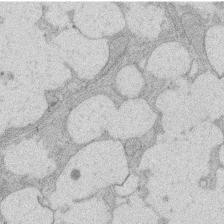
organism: Rat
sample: Salivary granule